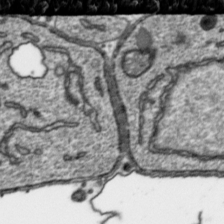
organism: Toxoplasma gondii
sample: Parasites in a vacuole inside a host cell